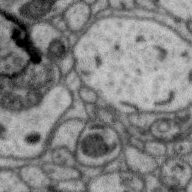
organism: Zebra finch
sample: Brain